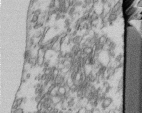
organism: Human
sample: Centriole in fibroblast cells